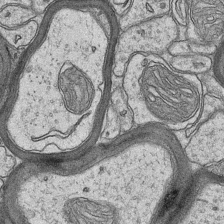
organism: Mouse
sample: CA1 Hippocampus